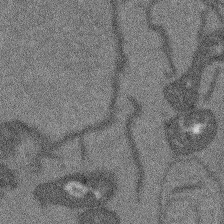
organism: Arabidopsis thaliana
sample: Root tip